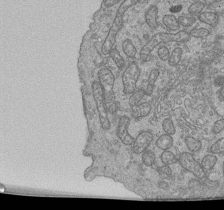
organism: Human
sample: Retinal organoid Rod and Cone cells